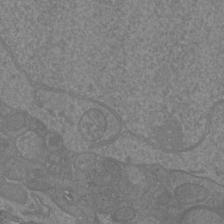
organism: Mouse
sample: Cortical neurons